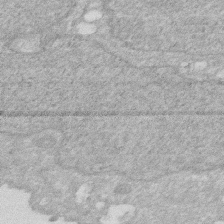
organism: Human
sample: HIV infected U937 cells